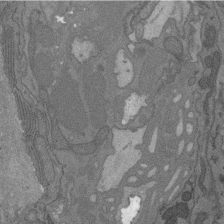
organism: C. elegans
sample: AFD neurons C. elegans